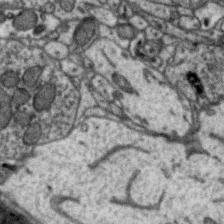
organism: Zebra finch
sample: Brain